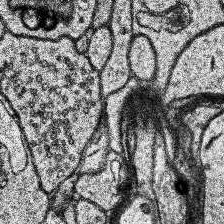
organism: Human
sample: Temporal Lobe